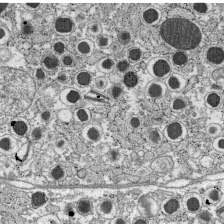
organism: C57BL Mouse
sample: Pancreatic islet